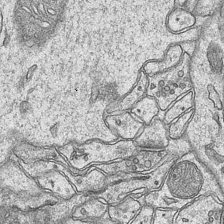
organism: Mouse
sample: CA1 Hippocampus